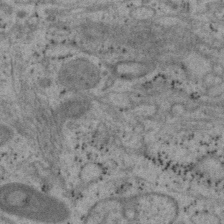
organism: Human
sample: HeLa cells